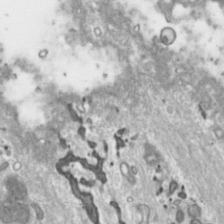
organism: Toxoplasma gondii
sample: Parasites in a vacuole inside a host cell